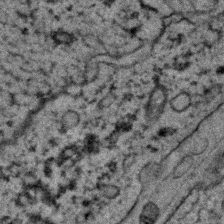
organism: C. elegans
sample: C. elegans embryo